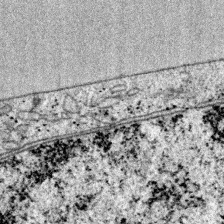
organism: Human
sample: HeLa cells